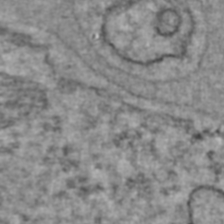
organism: Human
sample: Blood